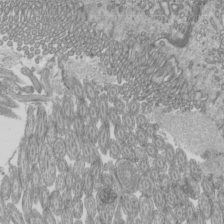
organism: Mouse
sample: Cilia; mouse epididymis